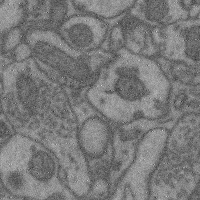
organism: Mouse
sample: Cerebral cortex